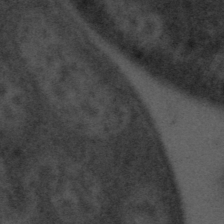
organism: Tuwongella immobilis